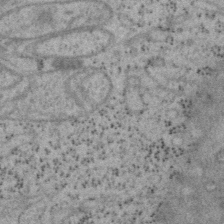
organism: Human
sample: HeLa cells